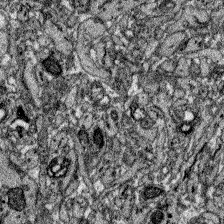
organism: Zebrafish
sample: Larval olfactory bulb